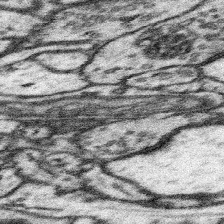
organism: Mouse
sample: Somatosensory cortex neuropil